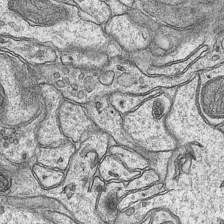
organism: Mouse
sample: CA1 Hippocampus